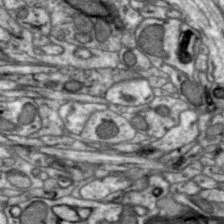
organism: Zebra finch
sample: Brain